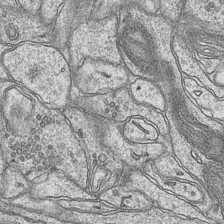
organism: Mouse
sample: CA1 Hippocampus